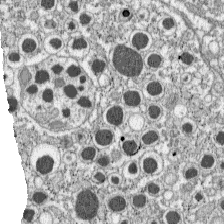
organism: C57BL Mouse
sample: Pancreatic islet